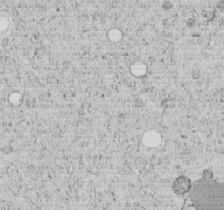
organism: C. elegans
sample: C. elegans embryo early stage